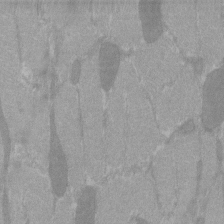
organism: C57BL Mouse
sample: Tibialis anterior muscle cell